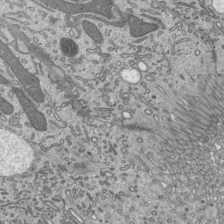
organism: Mouse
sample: Mouse epididymis efferent ductule cilia